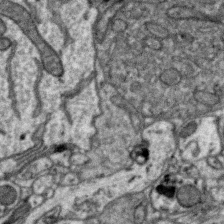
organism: Zebra finch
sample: Brain